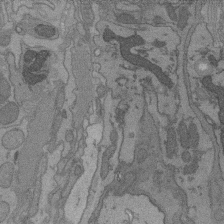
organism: C. elegans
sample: AFD neurons C. elegans